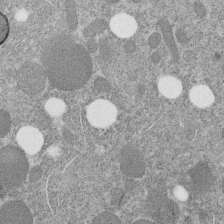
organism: C. elegans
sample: C. elegans embryo early stage